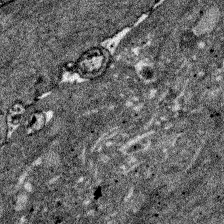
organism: Zebrafish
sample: Larval olfactory bulb